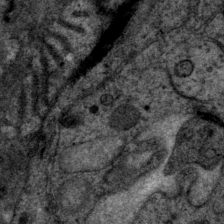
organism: P. pacificus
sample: Pharynx